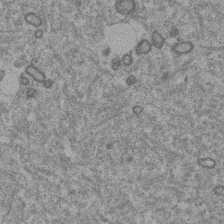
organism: Mouse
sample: Dividing mouse embryo 1 cell stage